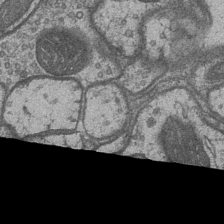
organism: Drosophila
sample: Optic medulla